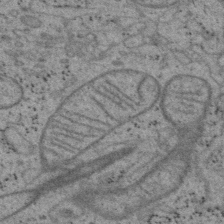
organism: Human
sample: HeLa cells